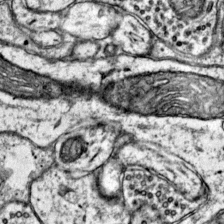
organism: Mouse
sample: Primary visual cortex